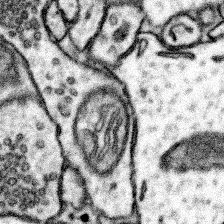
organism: Mouse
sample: Somatosensory cortex neuropil